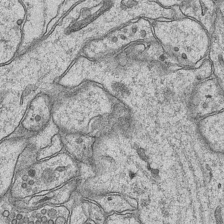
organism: Mouse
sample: CA1 Hippocampus